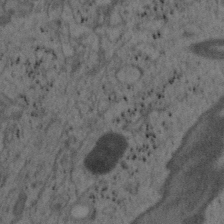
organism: Human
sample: HeLa cells